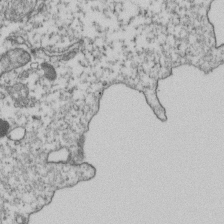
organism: Human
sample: Activated Jurkat CD4+ T cells